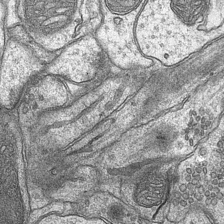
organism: Mouse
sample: CA1 Hippocampus